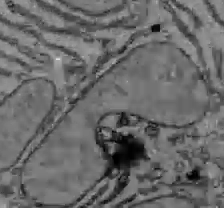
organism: C57BL Mouse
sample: Liver